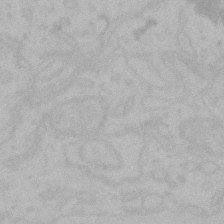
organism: Mouse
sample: Choroid plexus